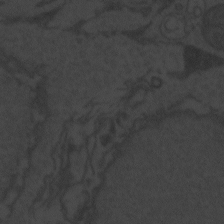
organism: Zebrafish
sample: Macrophage infected with Toxoplasma gondii